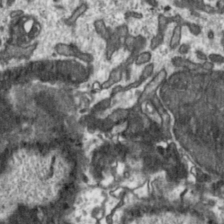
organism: Toxoplasma gondii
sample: Parasites in a vacuole inside a host cell